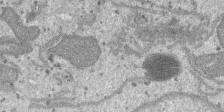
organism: Human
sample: Lung epithelial cells infected with SARS-CoV-2